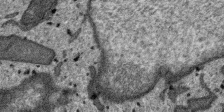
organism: Human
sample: Lung epithelial cells, uninfected (mock) control